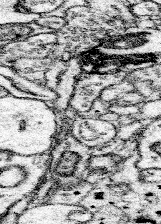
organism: Mouse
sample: Somatosensory cortex neuropil